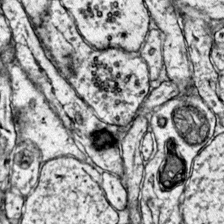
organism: Mouse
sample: Primary visual cortex